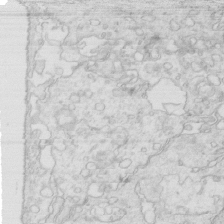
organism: Mouse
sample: Multiciliated cells